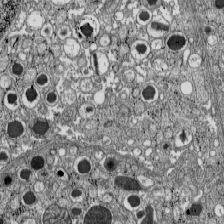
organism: C57BL Mouse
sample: Pancreatic islet